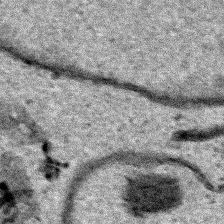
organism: Human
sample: Mitochondria in HCT116 cells